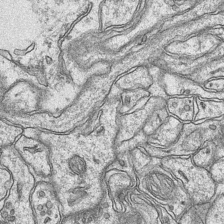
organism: Mouse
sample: CA1 Hippocampus